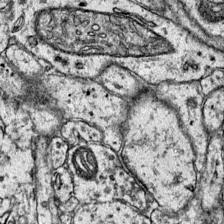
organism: Mouse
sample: Primary visual cortex